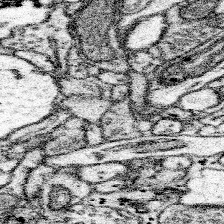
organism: Mouse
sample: Somatosensory cortex neuropil